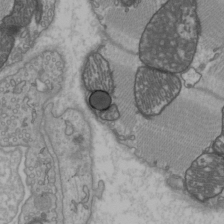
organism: C57BL Mouse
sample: Heart